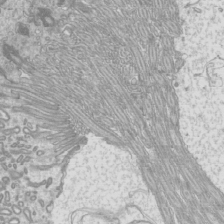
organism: Mouse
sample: Cilia; mouse epididymis